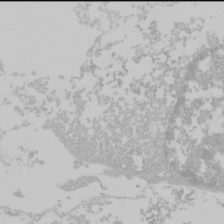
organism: Mouse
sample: Cancer cell death in ED-1 cells